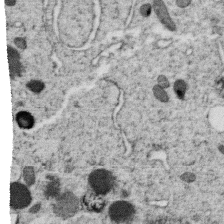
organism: C. elegans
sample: C. elegans oocyte; sperm cells